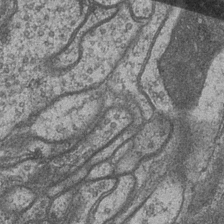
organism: Drosophila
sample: Optic medulla